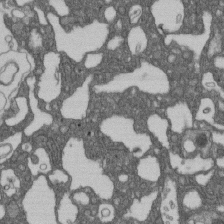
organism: Drosophila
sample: Nephrocyte